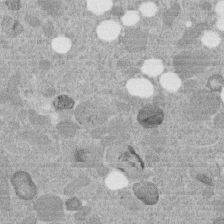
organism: C. elegans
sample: C. elegans embryo early stage